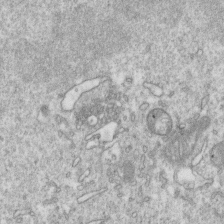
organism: Mouse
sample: Activated OT-1 CD8+ T cells